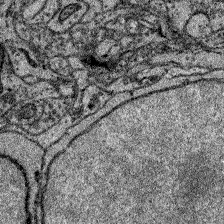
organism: Zebrafish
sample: Larval olfactory bulb